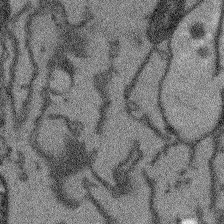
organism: Arabidopsis thaliana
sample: Root tip